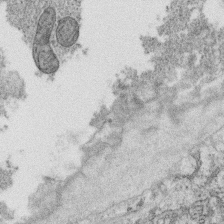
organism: C. elegans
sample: C. elegans oocyte; sperm cells